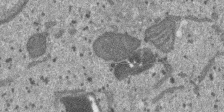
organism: Human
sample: Lung epithelial cells infected with SARS-CoV-2